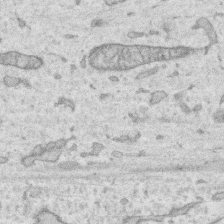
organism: Human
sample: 1205lu cells